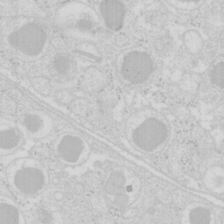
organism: Mouse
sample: Pancreas